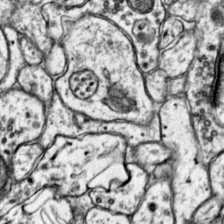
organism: Mouse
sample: Primary visual cortex